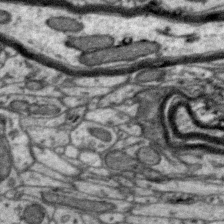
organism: Zebra finch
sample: Brain